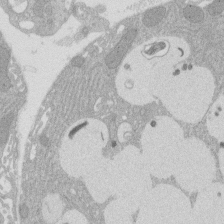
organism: Rat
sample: Salivary granule